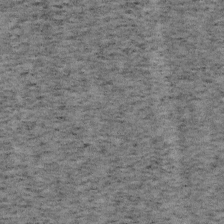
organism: Mouse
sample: OT-I killer T cells with ID8 ovarian cancer cells